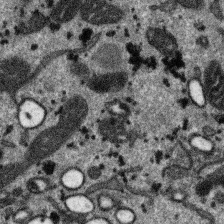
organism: Human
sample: Lung epithelial cells infected with SARS-CoV-2